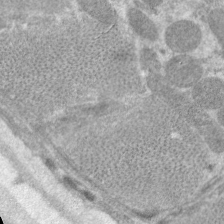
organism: C. elegans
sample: Pharynx